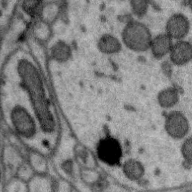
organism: Zebra finch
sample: Brain